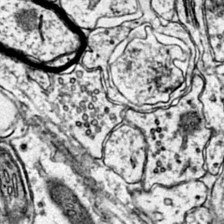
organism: Mouse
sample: Primary visual cortex